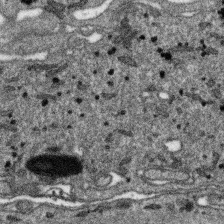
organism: Human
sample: Lung epithelial cells infected with SARS-CoV-2